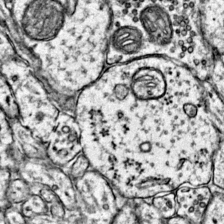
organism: Mouse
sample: Primary visual cortex